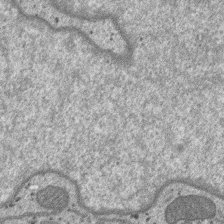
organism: Human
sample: Lung epithelial cells infected with SARS-CoV-2